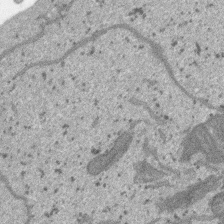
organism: Human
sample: Lung epithelial cells infected with SARS-CoV-2